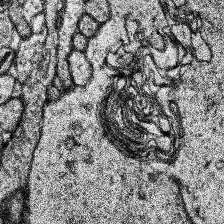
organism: Human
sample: Temporal Lobe